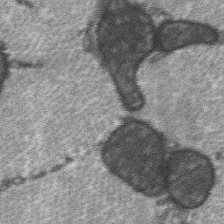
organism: C57BL Mouse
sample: Soleus